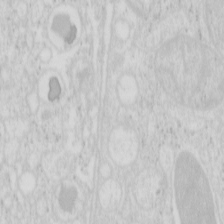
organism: Mouse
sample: Pancreas